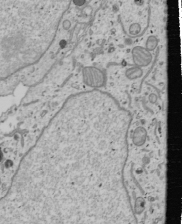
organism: Human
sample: Mitochondria in U2OS cells